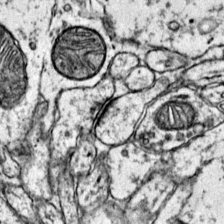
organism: Mouse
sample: Primary visual cortex